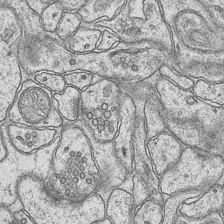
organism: Mouse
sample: CA1 Hippocampus